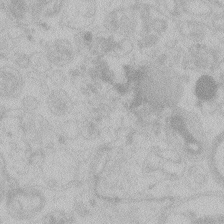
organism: Zebrafish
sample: Macrophage infected with Toxoplasma gondii